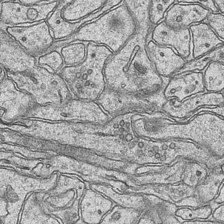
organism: Mouse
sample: CA1 Hippocampus